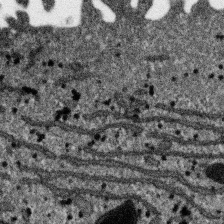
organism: Human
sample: Lung epithelial cells infected with SARS-CoV-2